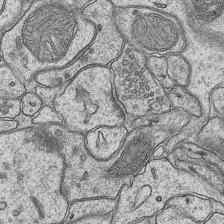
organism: Mouse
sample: CA1 Hippocampus